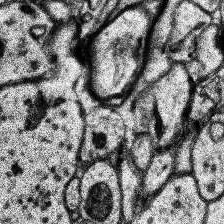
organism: Human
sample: Temporal Lobe